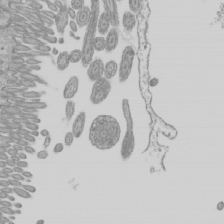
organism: Mouse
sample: Cilia; mouse epididymis